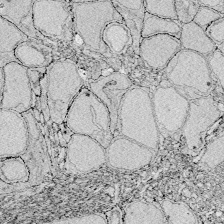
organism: Zebrafish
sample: Whole-Brain